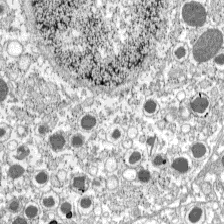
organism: C57BL Mouse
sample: Pancreatic islet